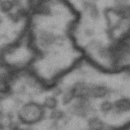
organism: Drosophila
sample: Brain